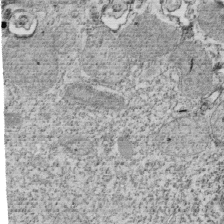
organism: Tetrahymena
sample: Cilia in tetrahymena